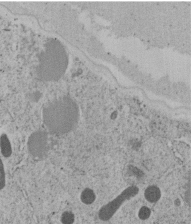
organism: C. elegans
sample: C. elegans embryo early stage